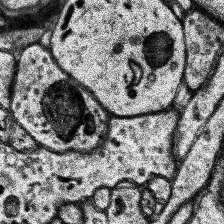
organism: Human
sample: Temporal Lobe